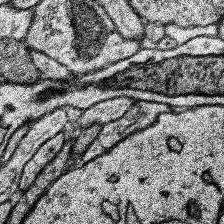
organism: Human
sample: Temporal Lobe